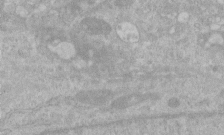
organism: Human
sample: Centriole in RPE cells